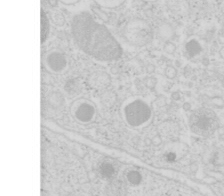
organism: Mouse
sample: Pancreas